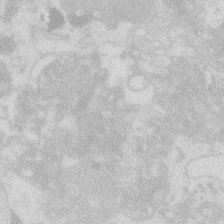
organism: Zebrafish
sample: Macrophage